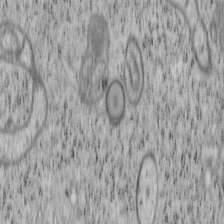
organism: Human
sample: HeLa cells